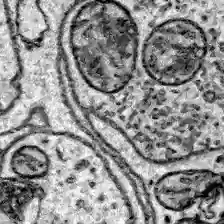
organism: Zebrafish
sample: Brain